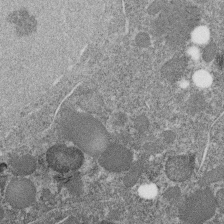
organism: C. elegans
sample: C. elegans embryo early stage